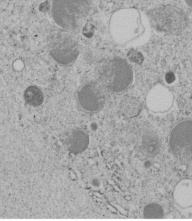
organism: C. elegans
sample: C. elegans embryo early stage